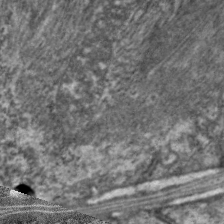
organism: C. elegans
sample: Pharynx